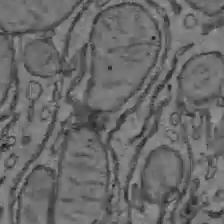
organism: C57BL Mouse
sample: Liver